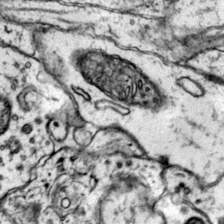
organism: Mouse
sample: Primary visual cortex